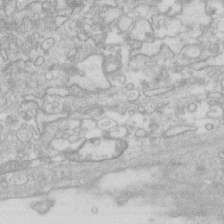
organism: Human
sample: Fibroblast cells